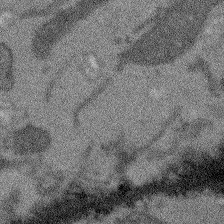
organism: Arabidopsis thaliana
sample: Root tip